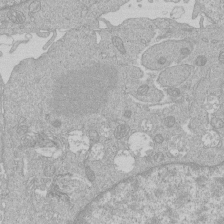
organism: Human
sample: Macrophage cells